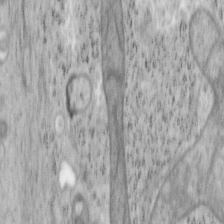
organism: Human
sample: HeLa cells